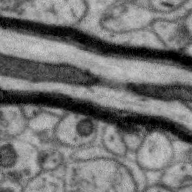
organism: Zebra finch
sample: Brain